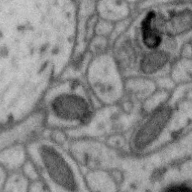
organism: Zebra finch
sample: Brain